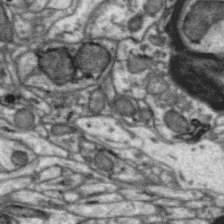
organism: Zebra finch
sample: Brain